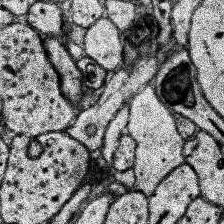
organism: Human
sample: Temporal Lobe